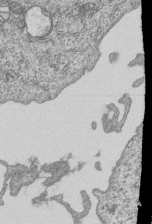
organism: Human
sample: MDA-MB-231 cells